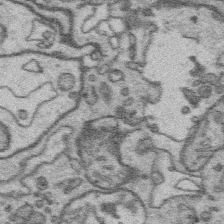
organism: Platynereis dumerilii